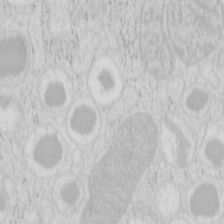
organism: Mouse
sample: Pancreas